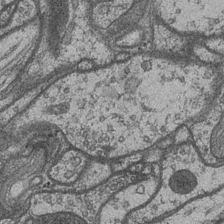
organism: Drosophila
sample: Optic medulla